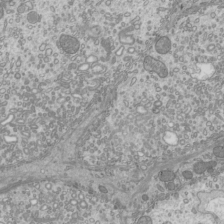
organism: Mouse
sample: Cilia; mouse epididymis